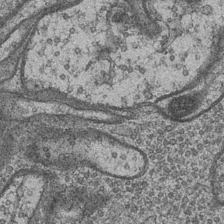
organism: Drosophila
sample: Optic medulla